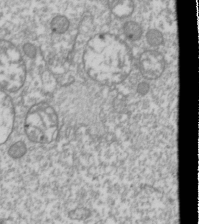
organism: Drosophila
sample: Cell division; meiosis; drosophila spermatocytes